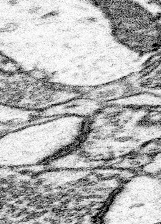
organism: Mouse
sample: Somatosensory cortex neuropil